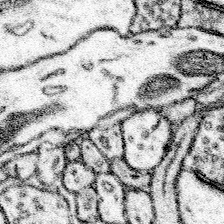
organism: Mouse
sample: Somatosensory cortex neuropil